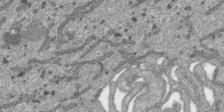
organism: Human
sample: Lung epithelial cells infected with SARS-CoV-2